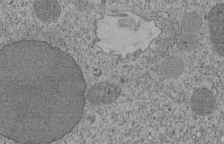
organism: Tetrahymena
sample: Cilia in tetrahymena